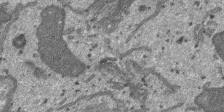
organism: Human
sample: Lung epithelial cells infected with SARS-CoV-2